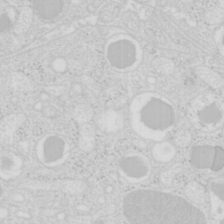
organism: Mouse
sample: Pancreas